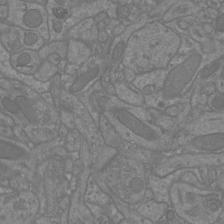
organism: Mouse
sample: Cortical neurons